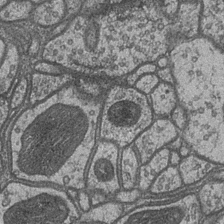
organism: Drosophila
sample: Optic medulla